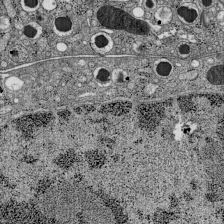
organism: C57BL Mouse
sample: Pancreatic islet